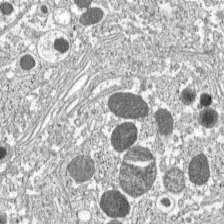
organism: C57BL Mouse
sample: Pancreatic islet